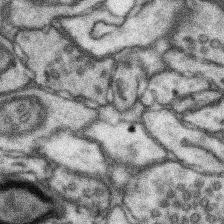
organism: Mouse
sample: Somatosensory cortex neuropil